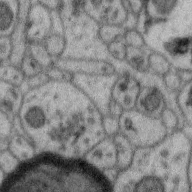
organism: Zebra finch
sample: Brain